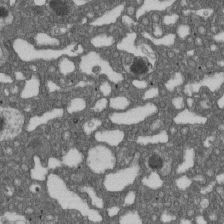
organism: Drosophila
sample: Nephrocyte